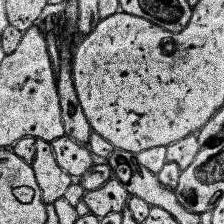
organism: Human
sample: Temporal Lobe